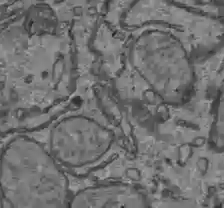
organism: C57BL Mouse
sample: Liver